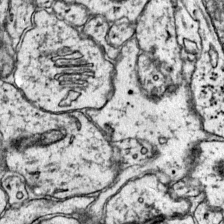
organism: Mouse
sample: Primary visual cortex